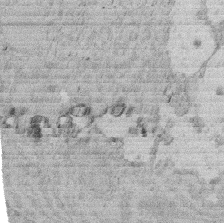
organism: Rat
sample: Salivary granule